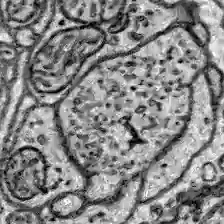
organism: Zebrafish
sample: Brain